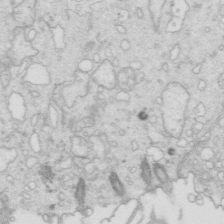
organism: Mouse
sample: Multiciliated cells